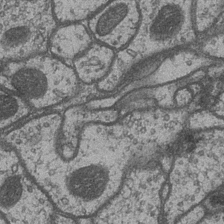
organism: Drosophila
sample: Optic medulla